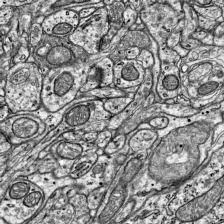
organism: Mouse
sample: Visual Cortex